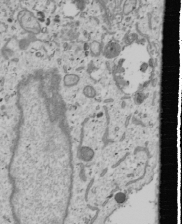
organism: Human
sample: Mitochondria in U2OS cells